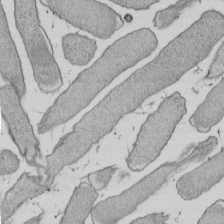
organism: E. coli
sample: Bacterial nucleoid